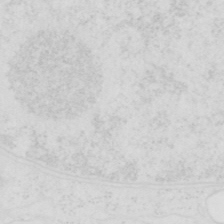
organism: Human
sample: SUM-159 cell